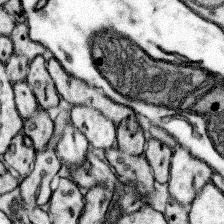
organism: Mouse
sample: Somatosensory cortex neuropil